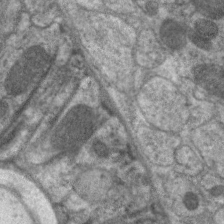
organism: C. elegans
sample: Pharynx